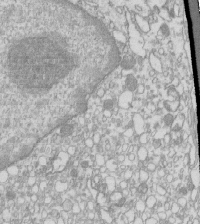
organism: Mouse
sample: Macrophages